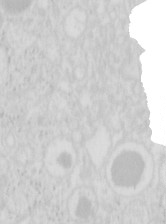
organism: Mouse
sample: Pancreas